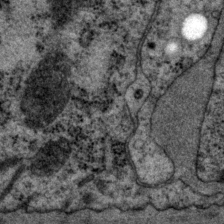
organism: P. pacificus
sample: Pharynx